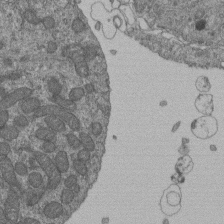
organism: Human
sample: Retinal organoid Rod and Cone cells